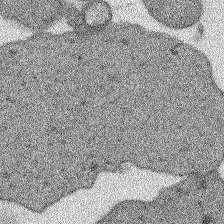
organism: Human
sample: HeLa cells